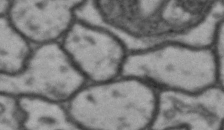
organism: Drosophila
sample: Brain